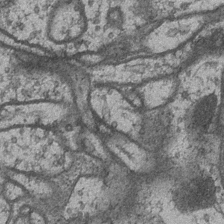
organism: Drosophila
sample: Optic medulla